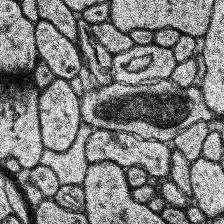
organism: Human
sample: Temporal Lobe